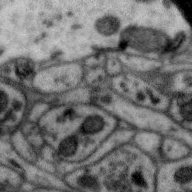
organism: Zebra finch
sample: Brain